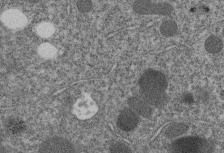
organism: C. elegans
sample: C. elegans embryo early stage